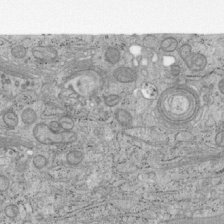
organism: Human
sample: HeLa cells